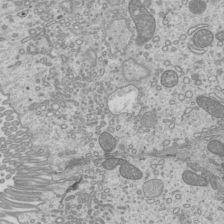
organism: Mouse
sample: Cilia; mouse epididymis